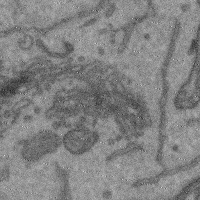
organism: Mouse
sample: Cerebral cortex